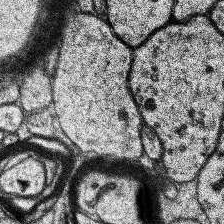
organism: Human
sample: Temporal Lobe